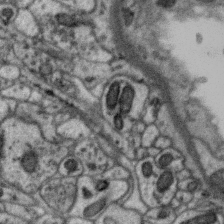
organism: Zebra finch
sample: Brain